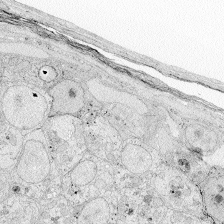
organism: Zebrafish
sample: Whole-Brain